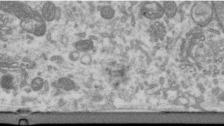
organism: Human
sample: Centriole in RPE cells